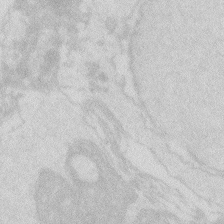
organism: Zebrafish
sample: Macrophage